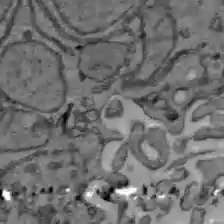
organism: C57BL Mouse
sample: Liver